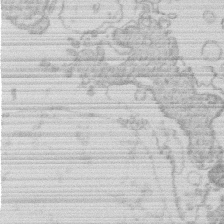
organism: Human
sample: Macrophage cells